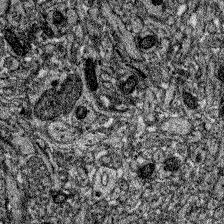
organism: Zebrafish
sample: Larval olfactory bulb